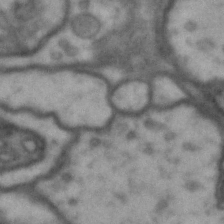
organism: Drosophila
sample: Brain